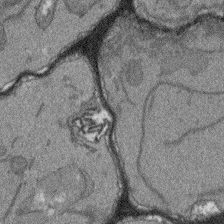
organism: Arabidopsis thaliana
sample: Root tip